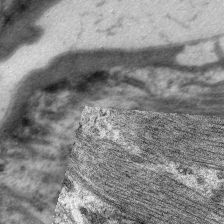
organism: C. elegans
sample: Pharynx